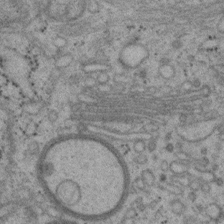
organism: Human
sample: HeLa cells